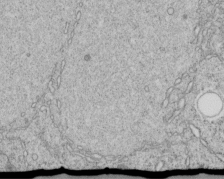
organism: C. elegans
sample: C. elegans embryo early stage